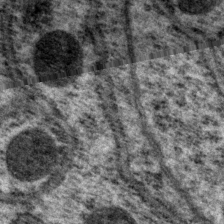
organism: P. pacificus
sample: Pharynx